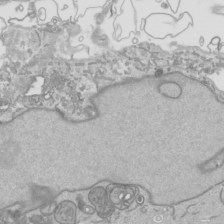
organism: Human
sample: Mitochondria in HCT116 cells